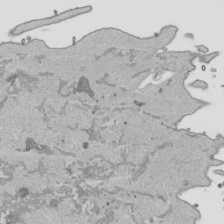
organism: Human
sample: Mitochondria in HCT116 cells